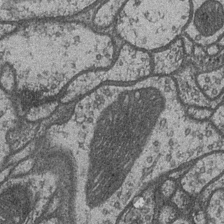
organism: Drosophila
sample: Optic medulla